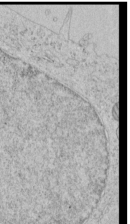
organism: Human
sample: Mitochondria in HCT116 cells